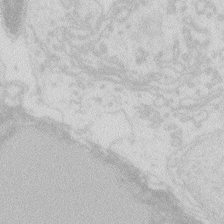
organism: Zebrafish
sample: Macrophage